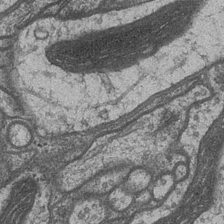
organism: Drosophila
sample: Optic medulla